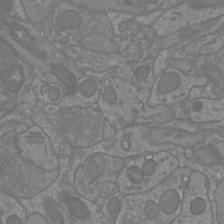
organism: Mouse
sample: Cortical neurons